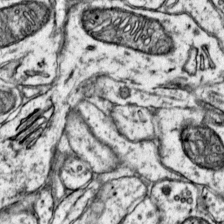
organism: Mouse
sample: Primary visual cortex